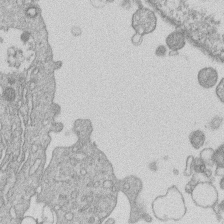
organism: Human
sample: Macrophage cells